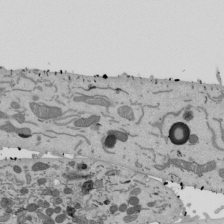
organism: Mouse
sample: ED-1 cell nuclei; centrioles